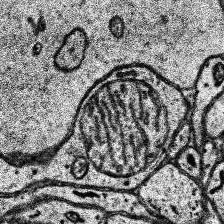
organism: Human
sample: Temporal Lobe